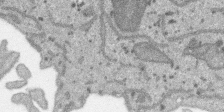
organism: Human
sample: Lung epithelial cells infected with SARS-CoV-2